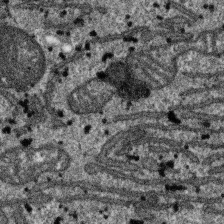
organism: Human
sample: Lung epithelial cells infected with SARS-CoV-2